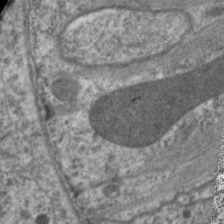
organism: C. elegans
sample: Pharynx